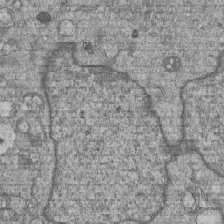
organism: Human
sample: MDA-MB-231 cells